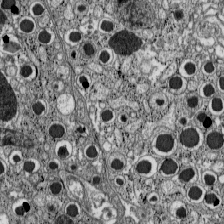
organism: C57BL Mouse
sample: Pancreatic islet